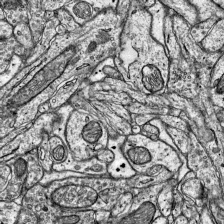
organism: Mouse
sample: Visual Cortex